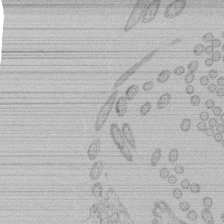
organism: Tetrahymena